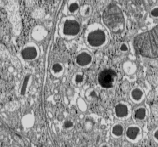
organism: C57BL Mouse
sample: Pancreatic islet